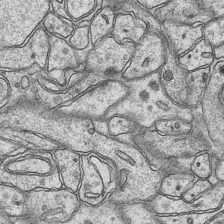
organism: Mouse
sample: CA1 Hippocampus